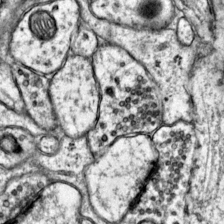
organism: Mouse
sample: Primary visual cortex